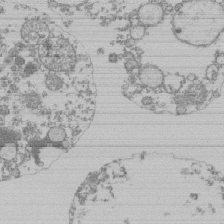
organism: Mouse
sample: Activated Pmel transgenic CD8+ T Cells